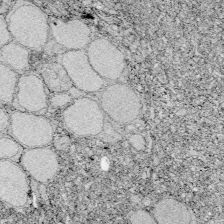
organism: Zebrafish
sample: Whole-Brain